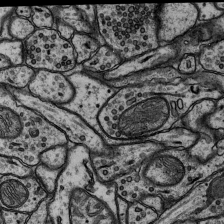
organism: Rat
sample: Hippocampus